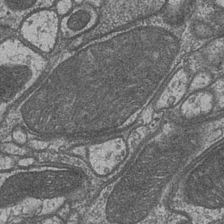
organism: Drosophila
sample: Optic medulla